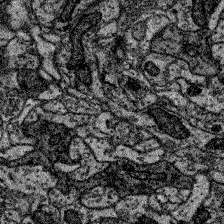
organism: Zebrafish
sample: Larval olfactory bulb